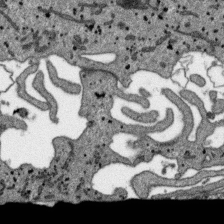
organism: Human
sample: Lung epithelial cells, uninfected (mock) control